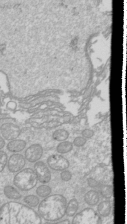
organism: Drosophila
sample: Cell division; meiosis; drosophila spermatocytes